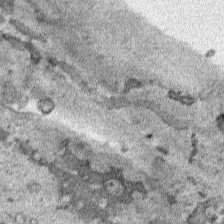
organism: Human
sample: Mitochondria in HCT116 cells